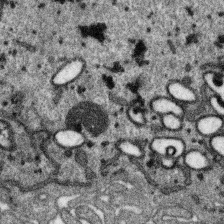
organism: Human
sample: Lung epithelial cells infected with SARS-CoV-2